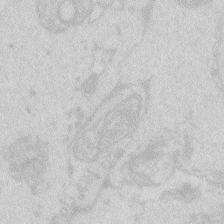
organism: Zebrafish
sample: Macrophage